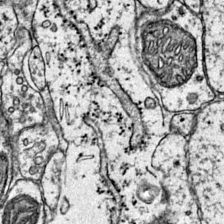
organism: Mouse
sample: Primary visual cortex